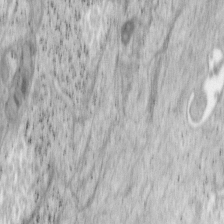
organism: Human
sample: HeLa cells